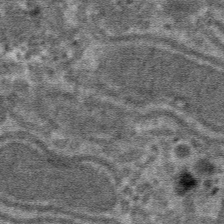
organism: Mouse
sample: Mouse hepatocytes